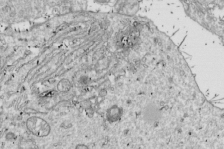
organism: Drosophila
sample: Cell division; meiosis; drosophila spermatocytes